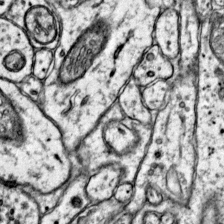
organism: Mouse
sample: Primary visual cortex